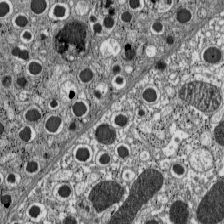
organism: C57BL Mouse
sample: Pancreatic islet